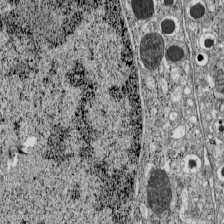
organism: C57BL Mouse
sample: Pancreatic islet